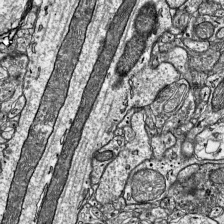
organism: Mouse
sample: Visual Cortex